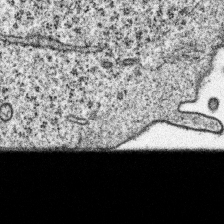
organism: Human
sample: HeLa cells